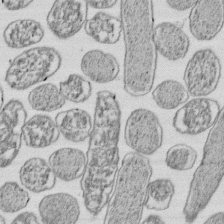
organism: E. coli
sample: Bacterial nucleoid